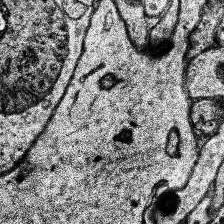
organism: Human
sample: Temporal Lobe